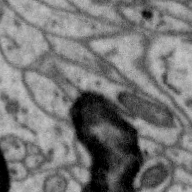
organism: Zebra finch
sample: Brain